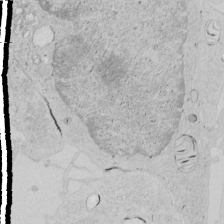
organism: Human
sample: Mitochondria in HCT116 cells